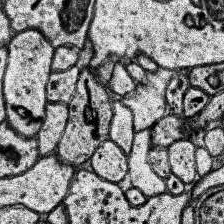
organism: Human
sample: Temporal Lobe